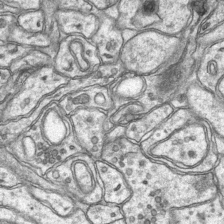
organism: Mouse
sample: CA1 Hippocampus